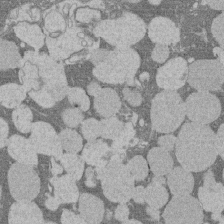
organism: Rat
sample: Salivary granule